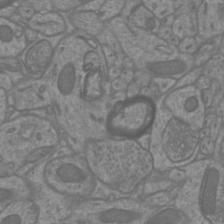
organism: Mouse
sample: Cortical neurons